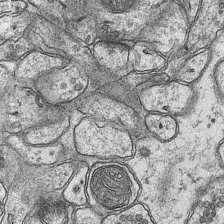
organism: Mouse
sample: CA1 Hippocampus